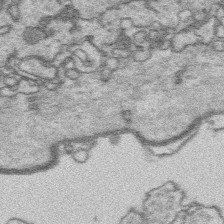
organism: Platynereis dumerilii